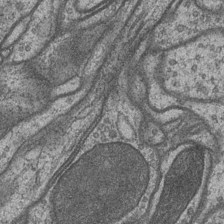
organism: Drosophila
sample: Optic medulla